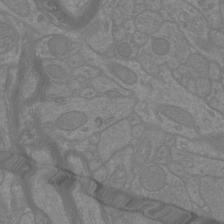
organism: Mouse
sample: Cortical neurons